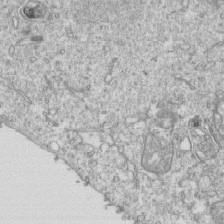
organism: Mouse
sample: Activated OT-1 CD8+ T cells